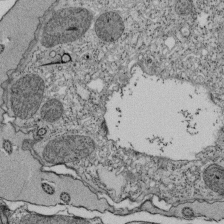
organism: Tetrahymena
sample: Cilia in tetrahymena